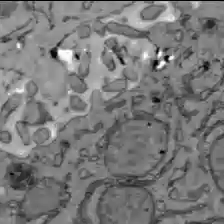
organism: C57BL Mouse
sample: Liver